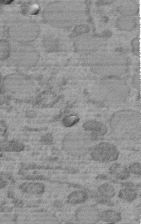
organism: C. elegans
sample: C. elegans embryo early stage